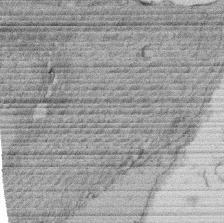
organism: Rat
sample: Salivary granule